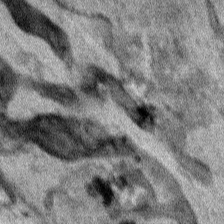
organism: Human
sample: Mitochondria in HCT116 cells